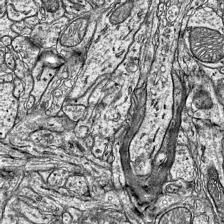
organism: Mouse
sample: Visual Cortex